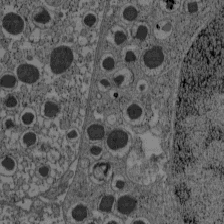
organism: C57BL Mouse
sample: Pancreatic islet